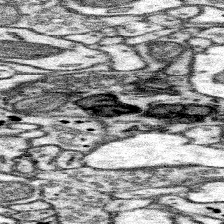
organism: Mouse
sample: Somatosensory cortex neuropil